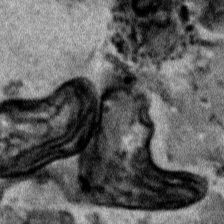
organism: Human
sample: Mitochondria in HCT116 cells